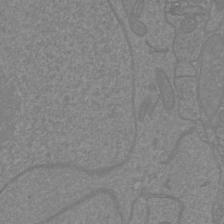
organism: Mouse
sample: Cortical neurons